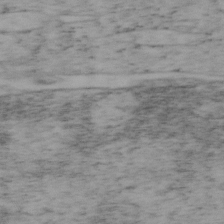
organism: Mouse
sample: OT-I killer T cells with ID8 ovarian cancer cells